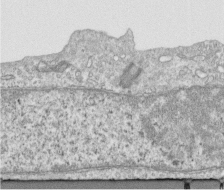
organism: Human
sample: Centriole in RPE cells